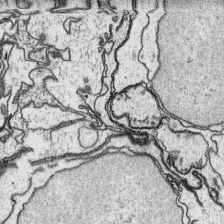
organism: Platynereis dumerilii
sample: Parapodia